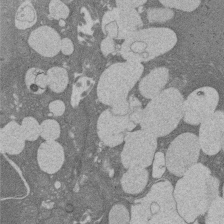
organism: Rat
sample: Salivary granule